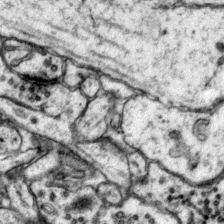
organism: Mouse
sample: Primary visual cortex